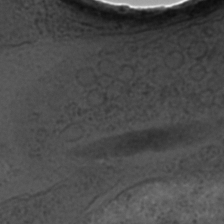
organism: C. elegans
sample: C. elegans embryo